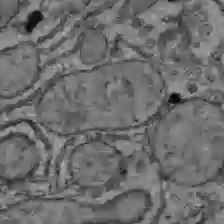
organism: C57BL Mouse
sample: Liver